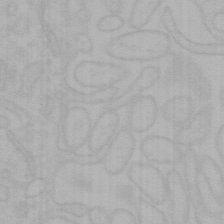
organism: Mouse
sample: Choroid plexus